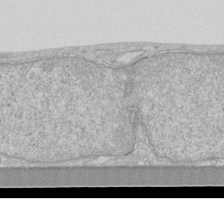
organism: Human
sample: Fibroblast cells